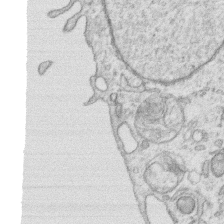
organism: Human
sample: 1205lu cells